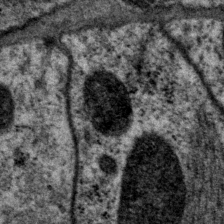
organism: P. pacificus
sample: Pharynx